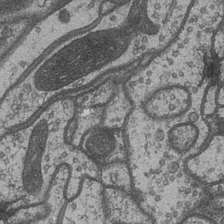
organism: Drosophila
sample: Optic medulla